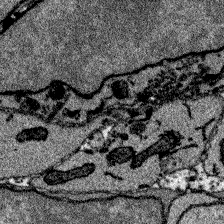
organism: Zebrafish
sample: Larval olfactory bulb